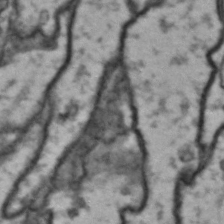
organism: Drosophila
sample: Brain